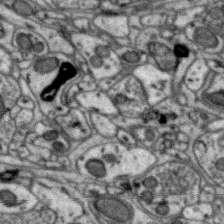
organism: Zebra finch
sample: Brain